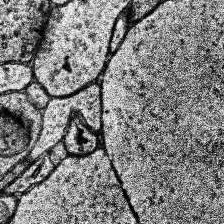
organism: Human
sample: Temporal Lobe